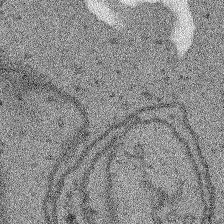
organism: Human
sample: HeLa cells